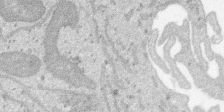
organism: Human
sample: Lung epithelial cells infected with SARS-CoV-2